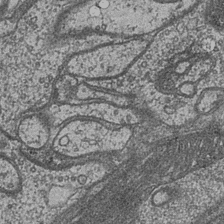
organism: Drosophila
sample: Optic medulla